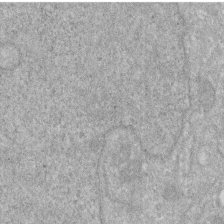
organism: Human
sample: HIV infected U937 cells